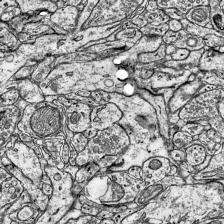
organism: Mouse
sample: Visual Cortex